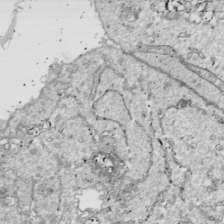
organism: Drosophila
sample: Cell division; meiosis; drosophila spermatocytes